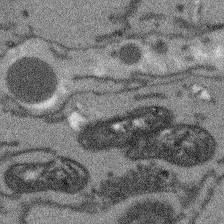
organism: Arabidopsis thaliana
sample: Root tip